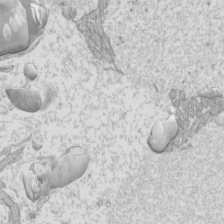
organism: Mouse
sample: Cilia; mouse epididymis